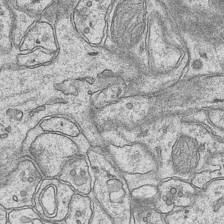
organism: Mouse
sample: CA1 Hippocampus